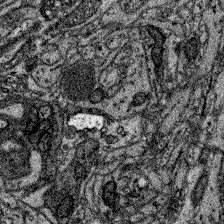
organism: Zebrafish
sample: Larval olfactory bulb